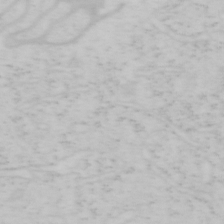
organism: Mouse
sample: OT-I killer T cells with ID8 ovarian cancer cells